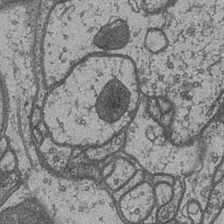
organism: Drosophila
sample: Optic medulla